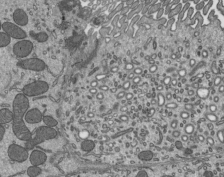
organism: Mouse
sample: Mouse epididymis efferent ductule cilia